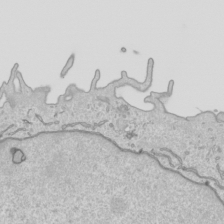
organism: Human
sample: Mitochondria in HCT116 cells